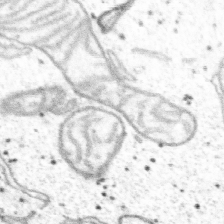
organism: Human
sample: HeLa cells